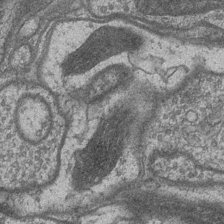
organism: Drosophila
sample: Optic medulla